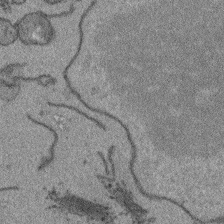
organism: Arabidopsis thaliana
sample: Root tip